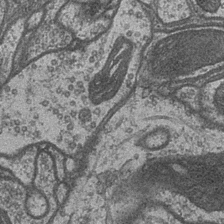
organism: Drosophila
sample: Optic medulla